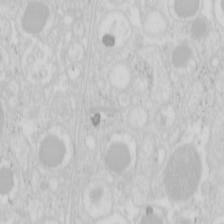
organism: Mouse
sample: Pancreas